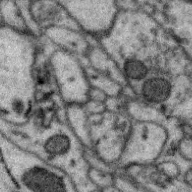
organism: Zebra finch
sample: Brain